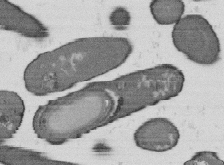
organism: B. subtilis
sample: Bacterial spore